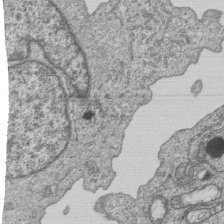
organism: Human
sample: MDA-MB-231 cells